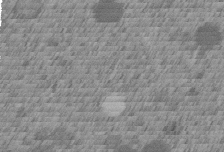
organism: C. elegans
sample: C. elegans embryo early stage